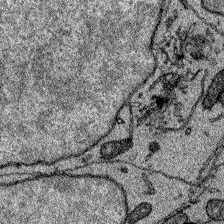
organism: Zebrafish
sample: Larval olfactory bulb